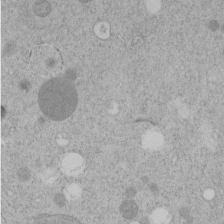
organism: C. elegans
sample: C. elegans embryo early stage